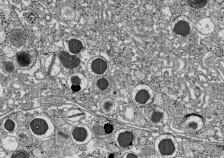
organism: C57BL Mouse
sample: Pancreatic islet